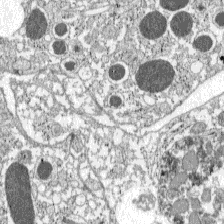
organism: C57BL Mouse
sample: Pancreatic islet